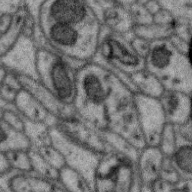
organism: Zebra finch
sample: Brain